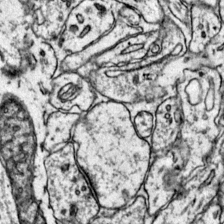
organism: Mouse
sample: Primary visual cortex